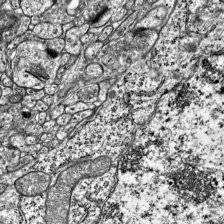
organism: Mouse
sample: Visual Cortex